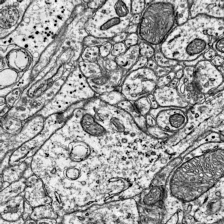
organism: Mouse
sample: Visual Cortex